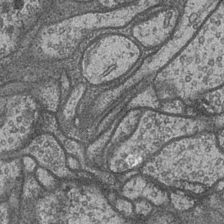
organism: Drosophila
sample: Optic medulla